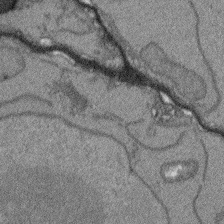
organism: Arabidopsis thaliana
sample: Root tip